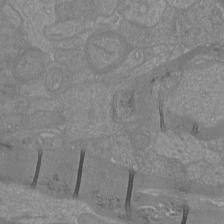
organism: Mouse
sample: Cortical neurons